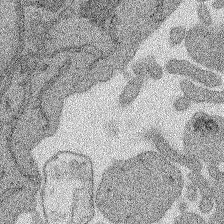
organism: Human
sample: HeLa cells